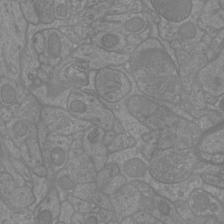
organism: Mouse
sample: Cortical neurons